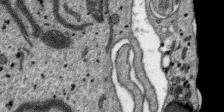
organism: Human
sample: Lung epithelial cells, uninfected (mock) control